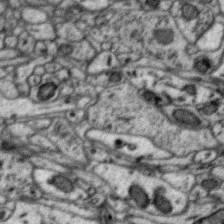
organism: Zebra finch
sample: Brain